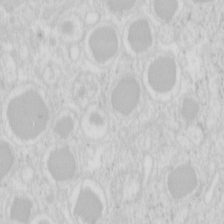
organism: Mouse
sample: Pancreas